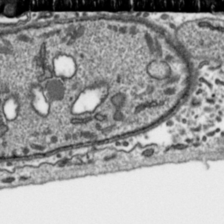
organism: Toxoplasma gondii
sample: Parasites in a vacuole inside a host cell